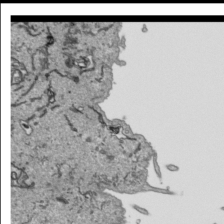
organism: Human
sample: Mitochondria in HCT116 cells